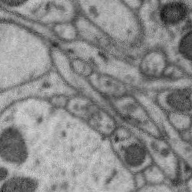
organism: Zebra finch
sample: Brain